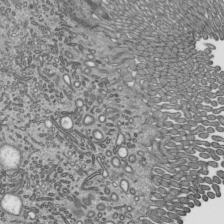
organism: Mouse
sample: Mouse epididymis efferent ductule cilia